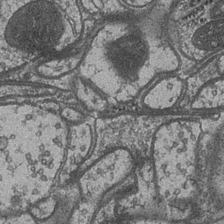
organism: Drosophila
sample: Optic medulla